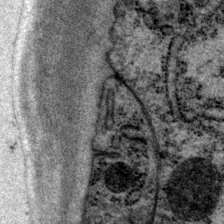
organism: P. pacificus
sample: Pharynx